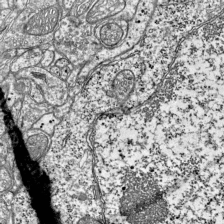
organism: Mouse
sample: Visual Cortex